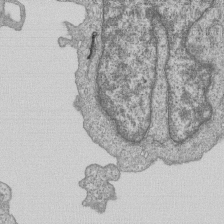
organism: Human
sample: MDA-MB-231 cells